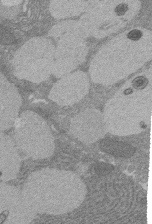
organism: Rat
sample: Salivary granule